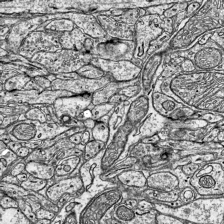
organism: Mouse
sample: Visual Cortex